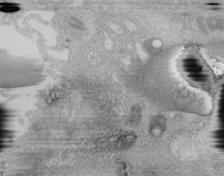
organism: Human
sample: Retinal organoid Rod and Cone cells